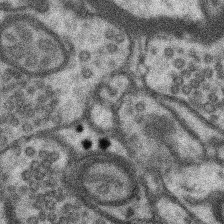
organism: Mouse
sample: Somatosensory cortex neuropil